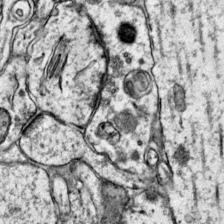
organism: Mouse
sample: Primary visual cortex